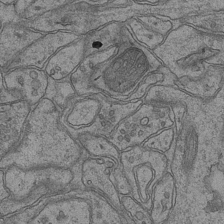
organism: Mouse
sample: CA1 Hippocampus